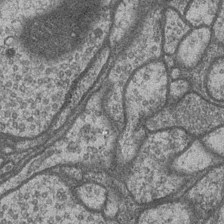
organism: Drosophila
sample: Optic medulla